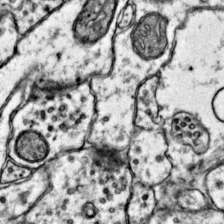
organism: Mouse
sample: Primary visual cortex